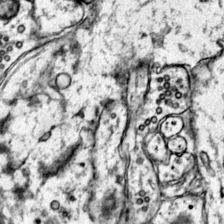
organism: Mouse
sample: Primary visual cortex